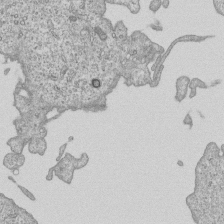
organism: Human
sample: MDA-MB-231 cells